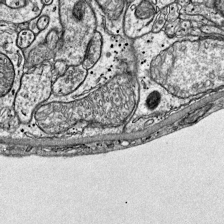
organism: Mouse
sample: Visual Cortex